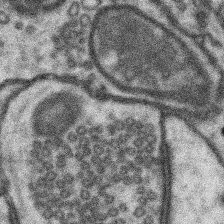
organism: Mouse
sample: Somatosensory cortex neuropil